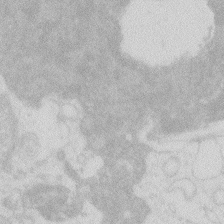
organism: Zebrafish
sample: Macrophage